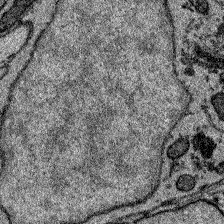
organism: Zebrafish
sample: Larval olfactory bulb